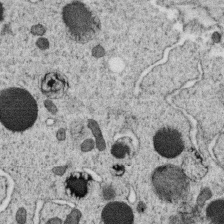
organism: C. elegans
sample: C. elegans oocyte; sperm cells